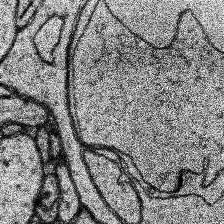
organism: Human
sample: Temporal Lobe